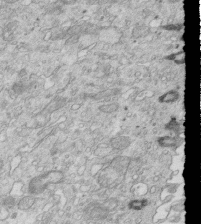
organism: Mouse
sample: Multiciliated cells